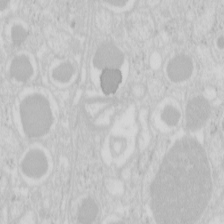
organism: Mouse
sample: Pancreas